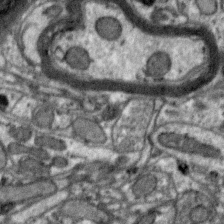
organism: Zebra finch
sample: Brain